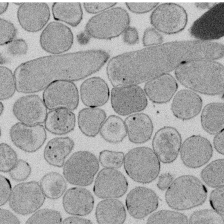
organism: E. coli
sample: Bacterial nucleoid